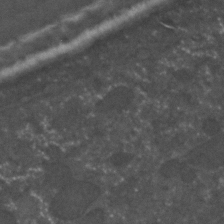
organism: C. elegans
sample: C. elegans embryo